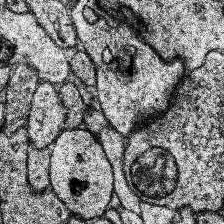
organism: Human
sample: Temporal Lobe